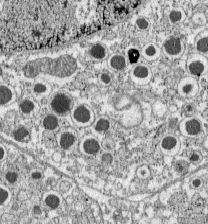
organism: C57BL Mouse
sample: Pancreatic islet